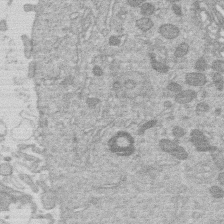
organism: Human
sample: Macrophage cells